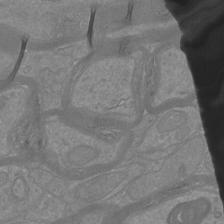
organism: Mouse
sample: Cortical neurons